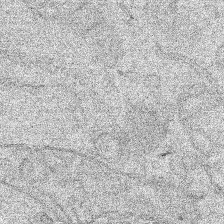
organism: Human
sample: Mitochondria in HCT116 cells